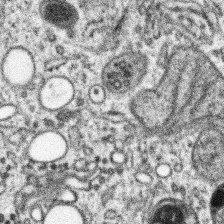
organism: Human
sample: HeLa cells